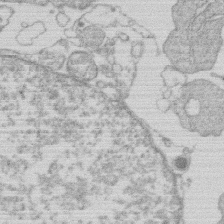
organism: Human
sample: Macrophage cells